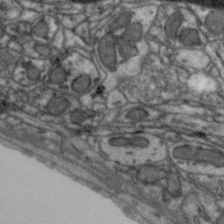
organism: Zebra finch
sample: Brain